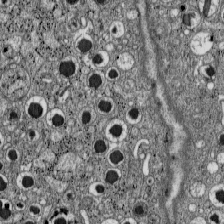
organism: C57BL Mouse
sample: Pancreatic islet